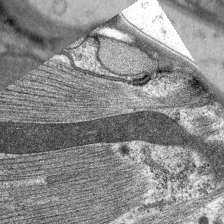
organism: C. elegans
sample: Pharynx